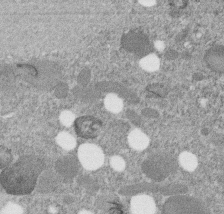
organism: C. elegans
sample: C. elegans embryo early stage